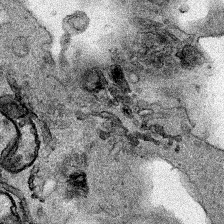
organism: Human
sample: Mitochondria in HCT116 cells